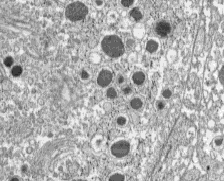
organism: C57BL Mouse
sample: Pancreatic islet